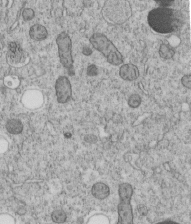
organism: C. elegans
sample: C. elegans embryo early stage